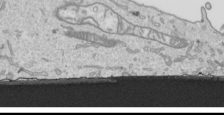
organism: Human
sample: Mitochondria in HCT116 cells